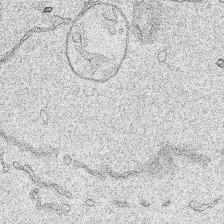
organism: Human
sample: Mitochondria in HCT116 cells